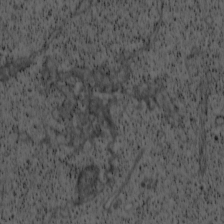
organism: African green monkey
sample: COS-7 cells